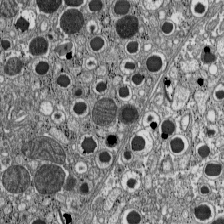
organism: C57BL Mouse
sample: Pancreatic islet